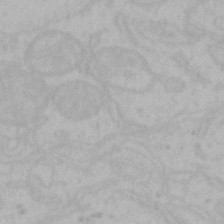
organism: Mouse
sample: Choroid plexus